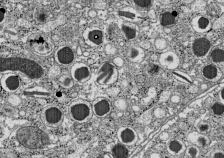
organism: C57BL Mouse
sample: Pancreatic islet